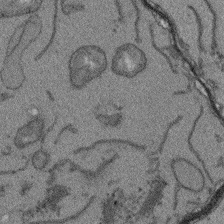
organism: Arabidopsis thaliana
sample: Root tip